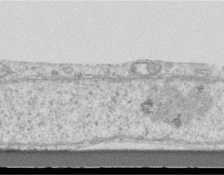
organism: Mouse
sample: Centriole in ependymal cells